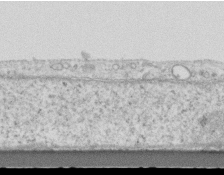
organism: Mouse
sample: Centriole in ependymal cells